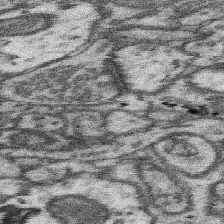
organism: Mouse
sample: Somatosensory cortex neuropil